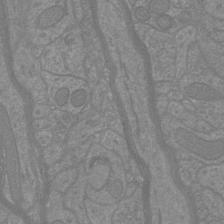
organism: Mouse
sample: Cortical neurons